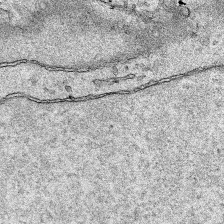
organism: Human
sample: Mitochondria in HCT116 cells